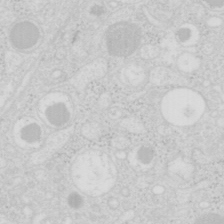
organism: Mouse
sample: Pancreas